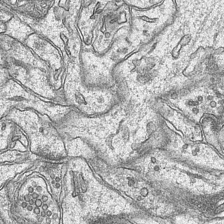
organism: Mouse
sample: CA1 Hippocampus